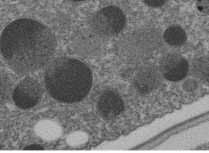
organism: C. elegans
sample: C. elegans embryo early stage